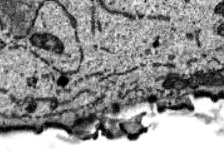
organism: Human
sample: HeLa cells